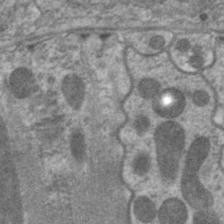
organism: C. elegans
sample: Pharynx